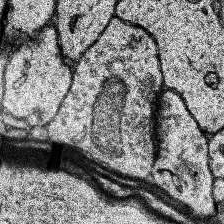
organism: Human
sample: Temporal Lobe